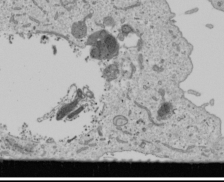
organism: Human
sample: Mitochondria in U2OS cells